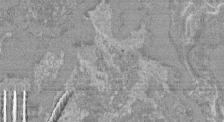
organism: Mouse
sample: Glomerulus